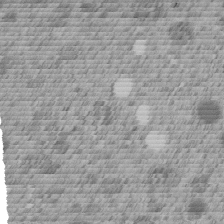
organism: C. elegans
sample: C. elegans embryo early stage